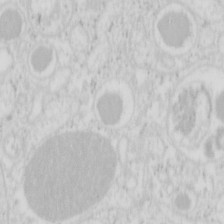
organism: Mouse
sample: Pancreas